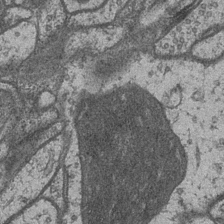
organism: Drosophila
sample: Optic medulla